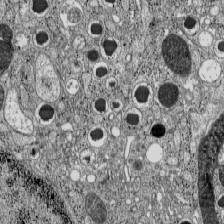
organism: C57BL Mouse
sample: Pancreatic islet